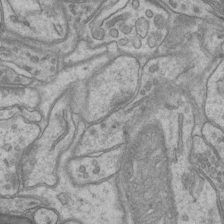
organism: Mouse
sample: CA1 Hippocampus